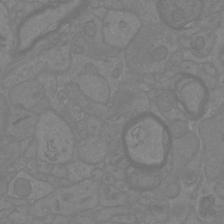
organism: Mouse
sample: Cortical neurons